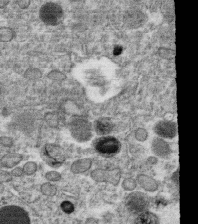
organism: C. elegans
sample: C. elegans oocyte; sperm cells